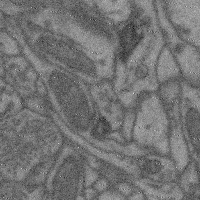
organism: Mouse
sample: Cerebral cortex